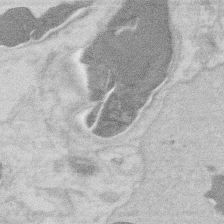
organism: Mouse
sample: T cell stromal cell synapse